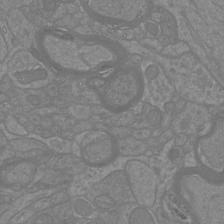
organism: Mouse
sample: Cortical neurons